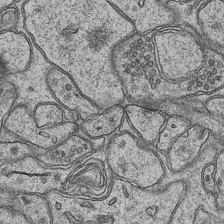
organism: Mouse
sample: CA1 Hippocampus